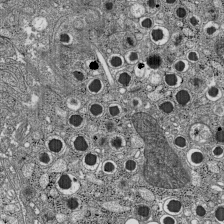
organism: C57BL Mouse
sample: Pancreatic islet